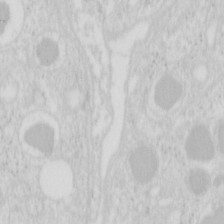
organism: Mouse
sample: Pancreas